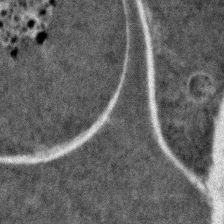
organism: Zebrafish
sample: Zebrafish embryo